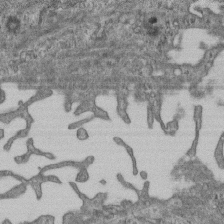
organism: Mouse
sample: Centriole in ependymal cells